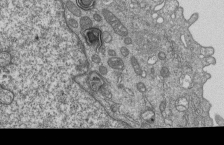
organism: Human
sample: MDA-MB-231 cells